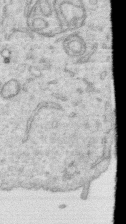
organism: Human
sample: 1205lu cells